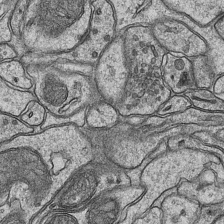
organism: Mouse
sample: CA1 Hippocampus